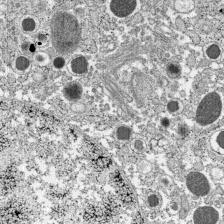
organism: C57BL Mouse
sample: Pancreatic islet